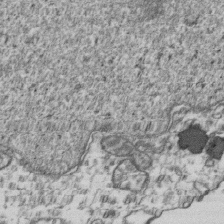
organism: Human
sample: Activated Jurkat CD4+ T cells